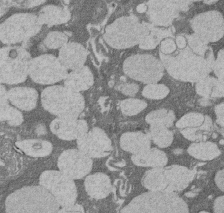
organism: Rat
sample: Salivary granule